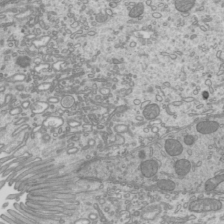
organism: Mouse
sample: Cilia; mouse epididymis